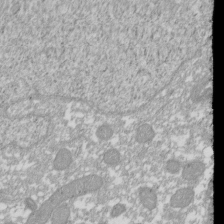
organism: Xenopus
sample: Cilia; centrioles in frog embryo cells